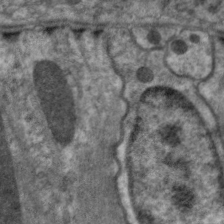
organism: C. elegans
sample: Pharynx